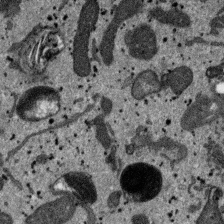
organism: Human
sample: Lung epithelial cells, uninfected (mock) control